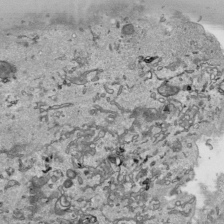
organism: Human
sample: Mitochondria in HCT116 cells